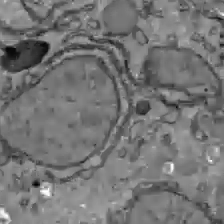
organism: C57BL Mouse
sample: Liver